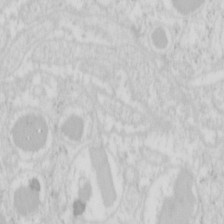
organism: Mouse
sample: Pancreas